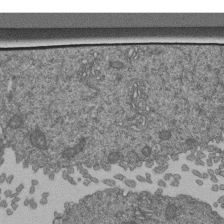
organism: Human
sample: Retinal organoid Rod and Cone cells